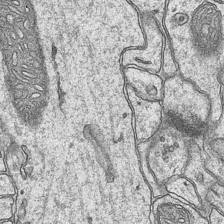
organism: Mouse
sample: CA1 Hippocampus